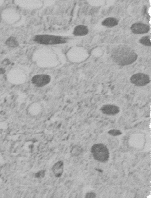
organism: C. elegans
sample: C. elegans embryo early stage